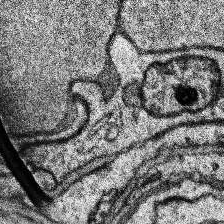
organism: Human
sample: Temporal Lobe